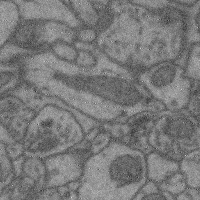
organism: Mouse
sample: Cerebral cortex